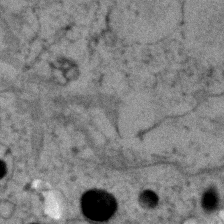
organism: Zebrafish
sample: Zebrafish embryo